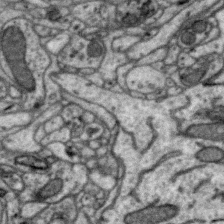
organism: Zebra finch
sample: Brain